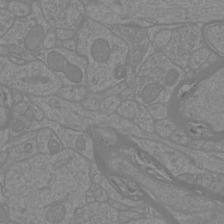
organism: Mouse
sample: Cortical neurons